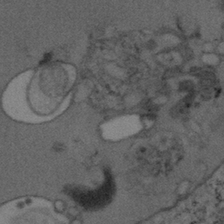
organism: Human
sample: HeLa cells